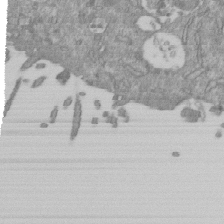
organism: Mouse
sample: ED-1 cell nuclei; centrioles